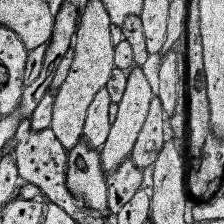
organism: Human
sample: Temporal Lobe